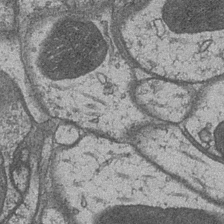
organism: Drosophila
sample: Optic medulla